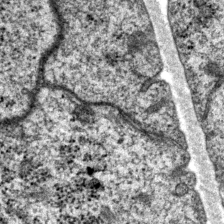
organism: P. pacificus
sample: Pharynx